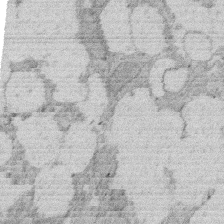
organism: Rat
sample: Salivary granule